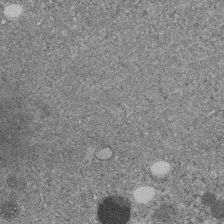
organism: C. elegans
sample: C. elegans embryo early stage